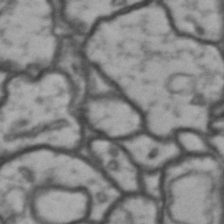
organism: Drosophila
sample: Brain